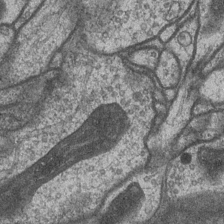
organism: Drosophila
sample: Optic medulla